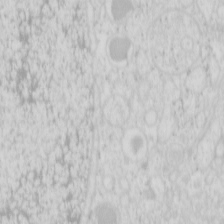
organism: Mouse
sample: Pancreas